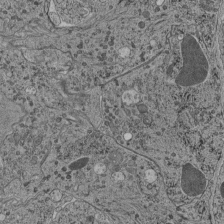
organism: C. elegans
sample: C. elegans pharynx